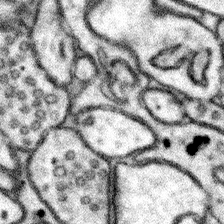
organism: Mouse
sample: Somatosensory cortex neuropil